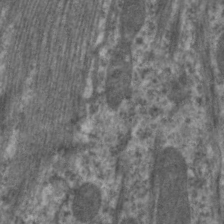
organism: C. elegans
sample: Pharynx